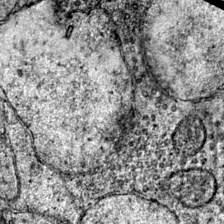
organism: Mouse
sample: Primary visual cortex